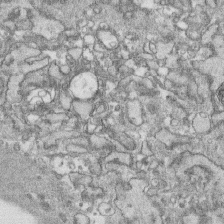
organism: Human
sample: CRL-1474